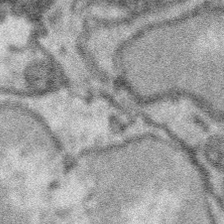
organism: Platynereis dumerilii